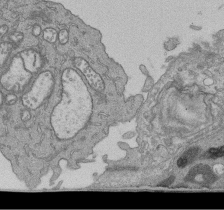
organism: Human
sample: Retinal organoid Rod and Cone cells